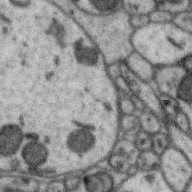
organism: Zebra finch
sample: Brain